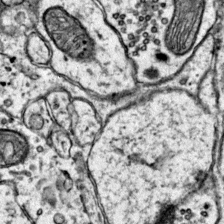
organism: Mouse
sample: Primary visual cortex